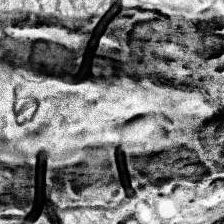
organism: Human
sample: Temporal Lobe